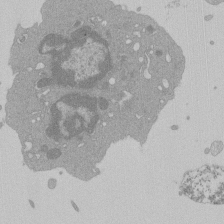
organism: Mouse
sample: Activated Pmel transgenic CD8+ T Cells